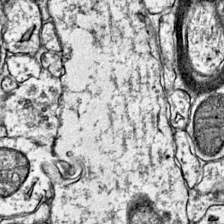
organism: Mouse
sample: Primary visual cortex